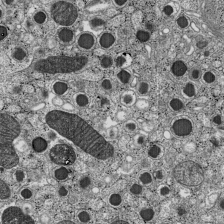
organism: C57BL Mouse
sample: Pancreatic islet